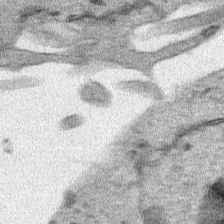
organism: Human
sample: Mitochondria in HCT116 cells